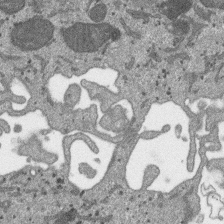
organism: Human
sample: Lung epithelial cells infected with SARS-CoV-2